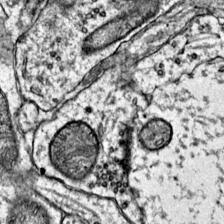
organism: Mouse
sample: Primary visual cortex